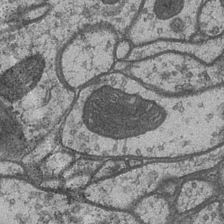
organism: Drosophila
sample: Optic medulla